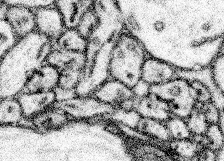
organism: Mouse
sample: Somatosensory cortex neuropil